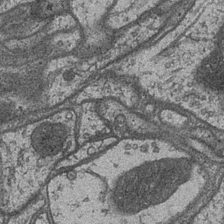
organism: Drosophila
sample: Optic medulla